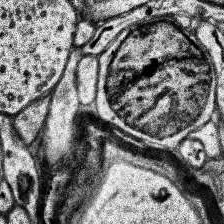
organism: Human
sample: Temporal Lobe